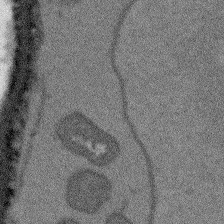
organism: Arabidopsis thaliana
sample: Root tip